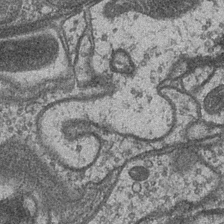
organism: Drosophila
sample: Optic medulla